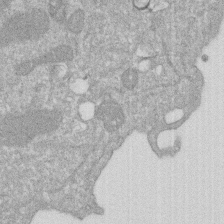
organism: Human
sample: HIV infected U937 cells